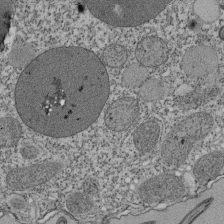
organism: Tetrahymena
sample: Cilia in tetrahymena